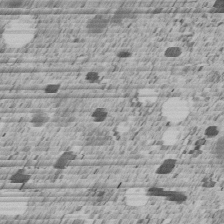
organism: C. elegans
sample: C. elegans embryo early stage